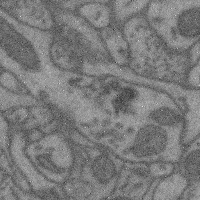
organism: Mouse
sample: Cerebral cortex